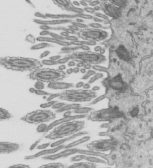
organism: Mouse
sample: Mouse epididymis efferent ductule cilia